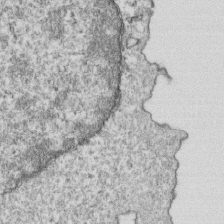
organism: Mouse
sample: Activated OT-1 CD8+ T cells